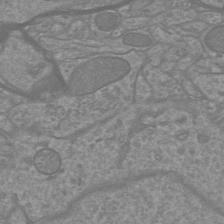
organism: Mouse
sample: Cortical neurons